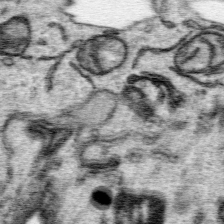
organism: Human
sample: HeLa cells